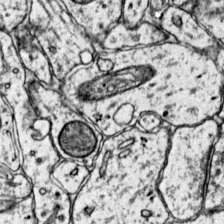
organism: Mouse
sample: Primary visual cortex